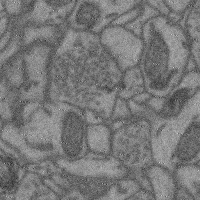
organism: Mouse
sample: Cerebral cortex